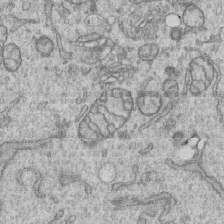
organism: Human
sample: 1205lu cells